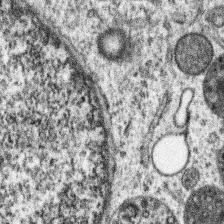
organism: Human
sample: HeLa cells